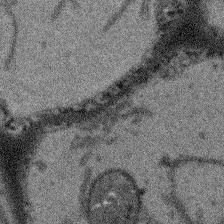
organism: Arabidopsis thaliana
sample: Root tip